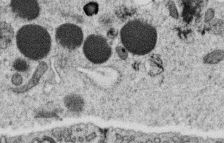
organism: C. elegans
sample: C. elegans oocyte; sperm cells